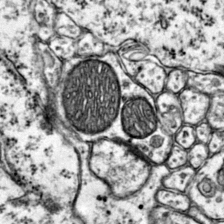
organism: Mouse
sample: Primary visual cortex